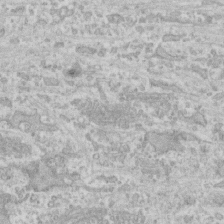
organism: Human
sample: CRL-1474